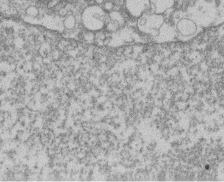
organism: Mouse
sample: T cell stromal cell synapse